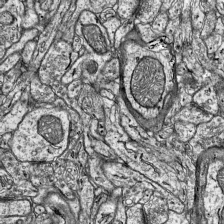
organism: Mouse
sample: Visual Cortex